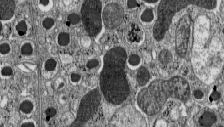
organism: C57BL Mouse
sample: Pancreatic islet